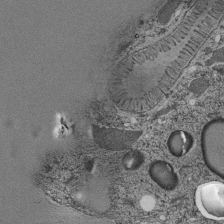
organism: C. elegans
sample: C. elegans pharynx